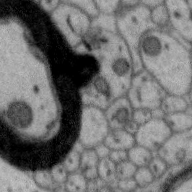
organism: Zebra finch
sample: Brain